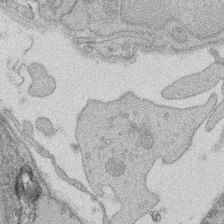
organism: Rat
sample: Salivary granule